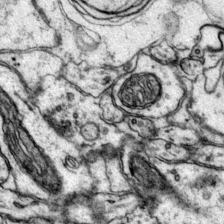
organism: Mouse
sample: Primary visual cortex